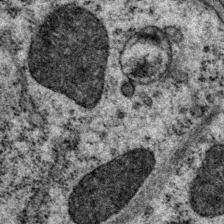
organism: P. pacificus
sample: Pharynx